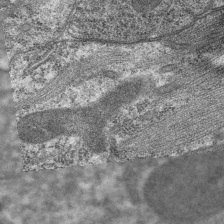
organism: C. elegans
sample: Pharynx